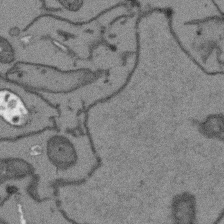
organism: Arabidopsis thaliana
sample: Root tip